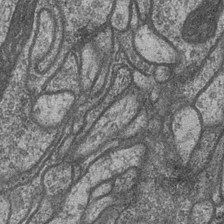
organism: Drosophila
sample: Optic medulla